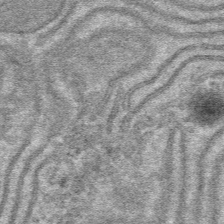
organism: Mouse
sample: Mouse hepatocytes